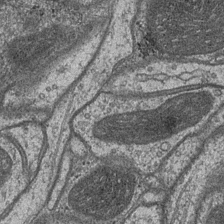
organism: Drosophila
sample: Optic medulla